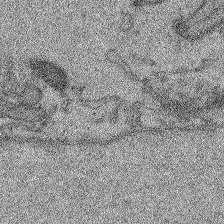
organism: Human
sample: HeLa cells